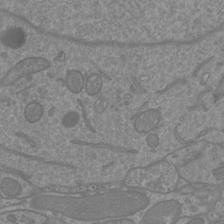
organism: Mouse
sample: Cortical neurons